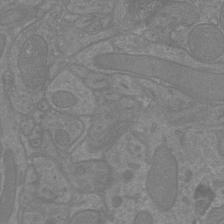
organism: Mouse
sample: Cortical neurons